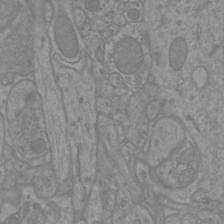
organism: Mouse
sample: Cortical neurons